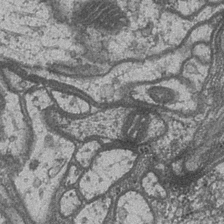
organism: Drosophila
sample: Optic medulla